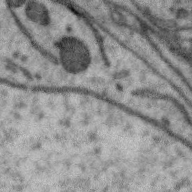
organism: Zebra finch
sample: Brain